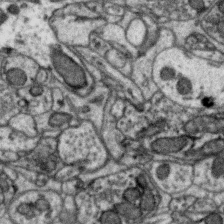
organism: Zebra finch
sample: Brain